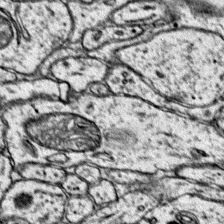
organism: Mouse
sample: Primary visual cortex